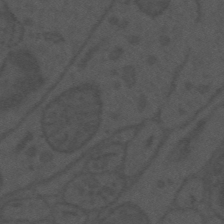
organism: Mouse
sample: Suprachiasmatic nucleus